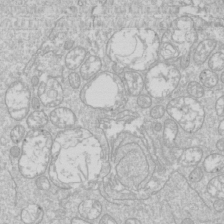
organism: Drosophila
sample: Cell division; meiosis; drosophila spermatocytes